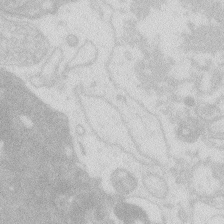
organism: Zebrafish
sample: Macrophage